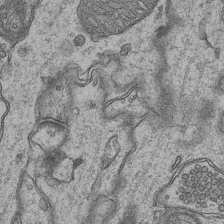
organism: Mouse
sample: CA1 Hippocampus